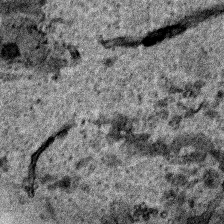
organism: Human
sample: Mitochondria in HCT116 cells